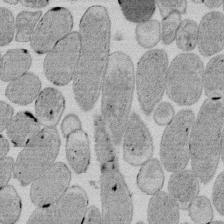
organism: E. coli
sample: Bacterial nucleoid